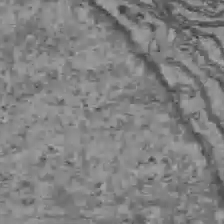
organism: C57BL Mouse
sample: Liver